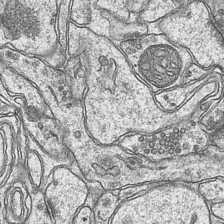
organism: Mouse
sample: CA1 Hippocampus